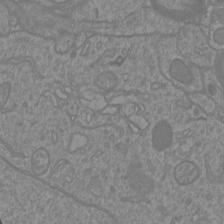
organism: Mouse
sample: Cortical neurons